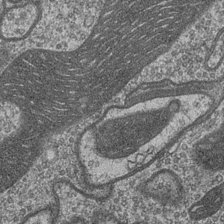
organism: Drosophila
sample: Optic medulla